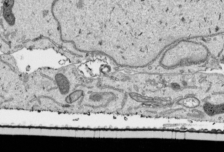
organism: Human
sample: Mitochondria in HCT116 cells